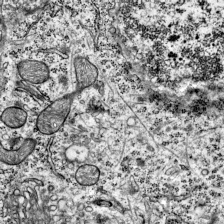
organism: Mouse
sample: Visual Cortex